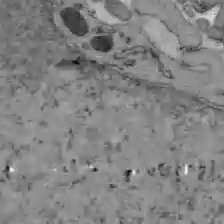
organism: C57BL Mouse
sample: Liver